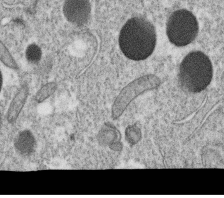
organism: C. elegans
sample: C. elegans oocyte; sperm cells